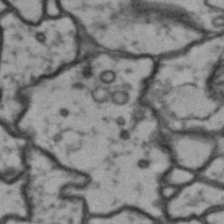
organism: Drosophila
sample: Brain